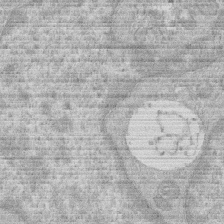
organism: Human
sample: Macrophage cells